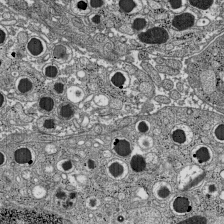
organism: C57BL Mouse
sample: Pancreatic islet